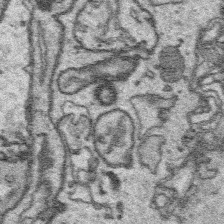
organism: Platynereis dumerilii